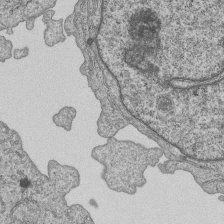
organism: Human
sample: MDA-MB-231 cells